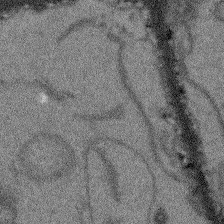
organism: Arabidopsis thaliana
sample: Root tip